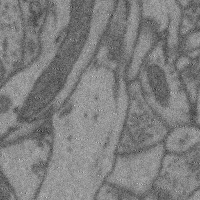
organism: Mouse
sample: Cerebral cortex